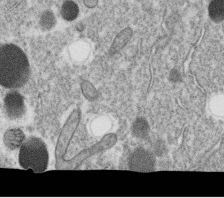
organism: C. elegans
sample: C. elegans oocyte; sperm cells